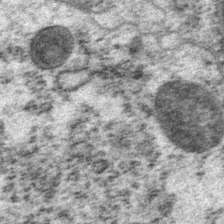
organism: P. pacificus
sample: Pharynx